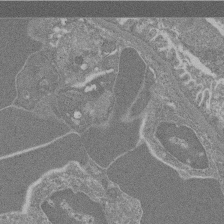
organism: Mouse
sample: Glomerulus